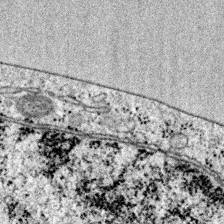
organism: Human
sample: HeLa cells